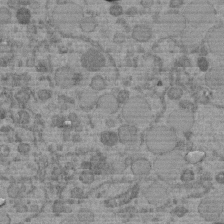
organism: C. elegans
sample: C. elegans embryo early stage